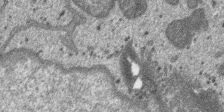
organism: Human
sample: Lung epithelial cells infected with SARS-CoV-2